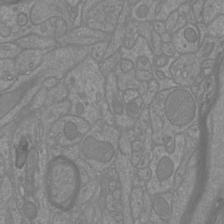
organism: Mouse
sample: Cortical neurons